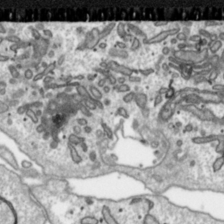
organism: Toxoplasma gondii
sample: Parasites in a vacuole inside a host cell